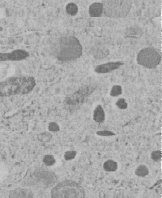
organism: C. elegans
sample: C. elegans embryo early stage